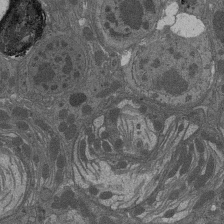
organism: Drosophila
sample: Antenna